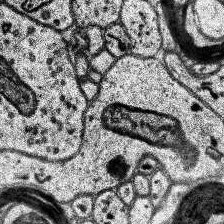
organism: Human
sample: Temporal Lobe